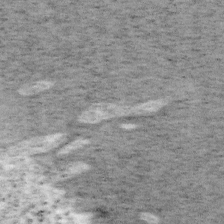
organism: Mouse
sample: OT-I killer T cells with ID8 ovarian cancer cells